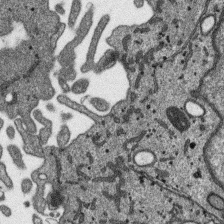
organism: Human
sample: Lung epithelial cells infected with SARS-CoV-2